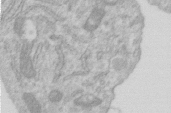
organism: Human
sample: Centriole in RPE cells